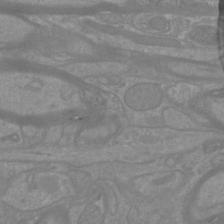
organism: Mouse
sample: Cortical neurons